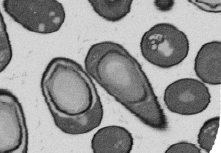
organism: B. subtilis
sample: Bacterial spore